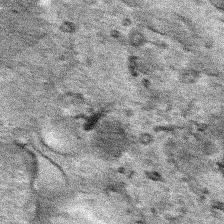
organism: Human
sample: Mitochondria in HCT116 cells